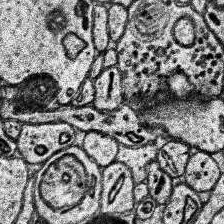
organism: Human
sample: Temporal Lobe